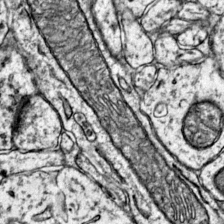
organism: Mouse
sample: Primary visual cortex